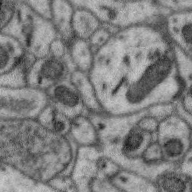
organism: Zebra finch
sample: Brain